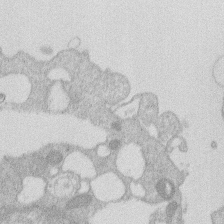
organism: Human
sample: Macrophage cells